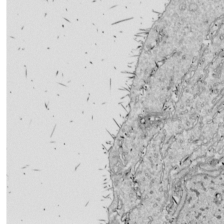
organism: Drosophila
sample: Cell division; meiosis; drosophila spermatocytes